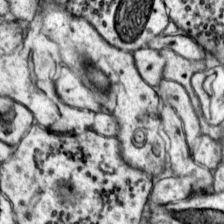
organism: Mouse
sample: Primary visual cortex